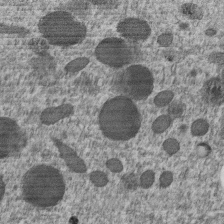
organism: C. elegans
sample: C. elegans embryo early stage